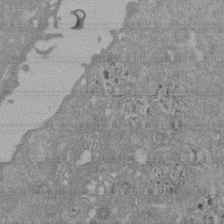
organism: Mouse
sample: ED-1 cell nuclei; centrioles